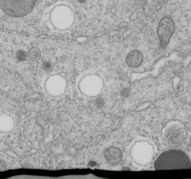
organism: C. elegans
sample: C. elegans embryo early stage